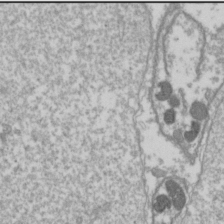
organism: Drosophila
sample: Cell division; meiosis; drosophila spermatocytes